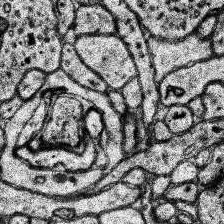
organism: Human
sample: Temporal Lobe